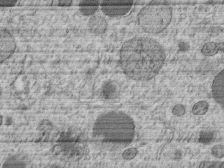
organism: C. elegans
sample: C. elegans embryo early stage